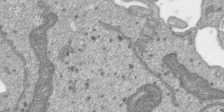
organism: Human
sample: Lung epithelial cells infected with SARS-CoV-2